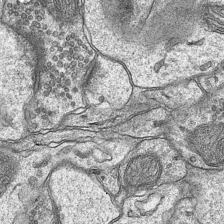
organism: Mouse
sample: CA1 Hippocampus